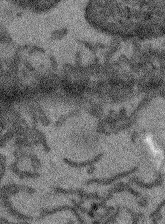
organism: Arabidopsis thaliana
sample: Root tip